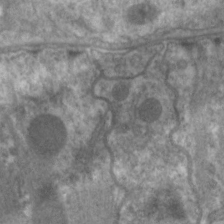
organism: C. elegans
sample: Pharynx